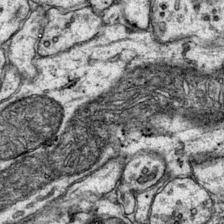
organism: Mouse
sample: Primary visual cortex